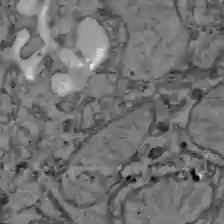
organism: C57BL Mouse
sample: Liver